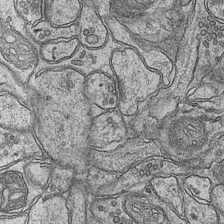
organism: Mouse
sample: CA1 Hippocampus